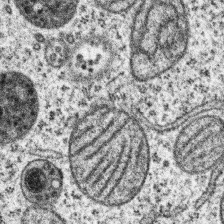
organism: Human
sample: HeLa cells